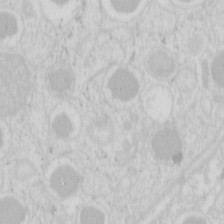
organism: Mouse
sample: Pancreas